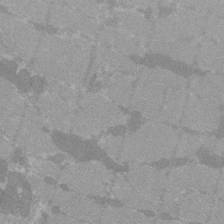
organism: C57BL Mouse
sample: Tibialis anterior muscle cell